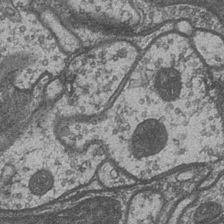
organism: Drosophila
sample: Optic medulla